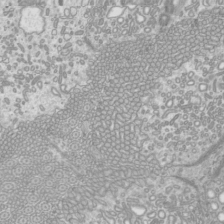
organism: Mouse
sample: Cilia; mouse epididymis